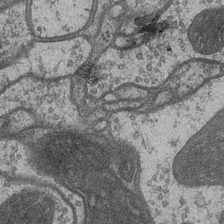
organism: Drosophila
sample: Optic medulla